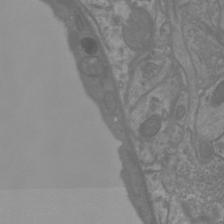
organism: Mouse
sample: Cortical neurons